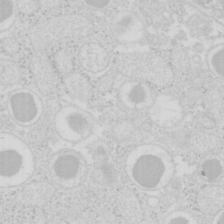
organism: Mouse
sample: Pancreas